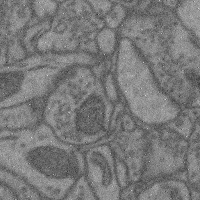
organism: Mouse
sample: Cerebral cortex